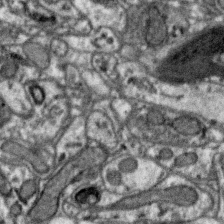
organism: Zebra finch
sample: Brain